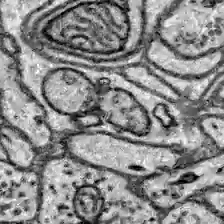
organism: Zebrafish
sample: Brain